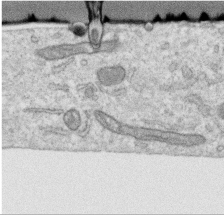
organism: Human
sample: Centriole in RPE cells